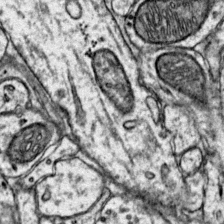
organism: Mouse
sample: Primary visual cortex